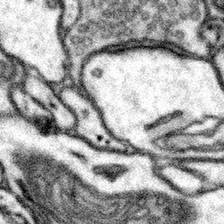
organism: Mouse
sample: Somatosensory cortex neuropil